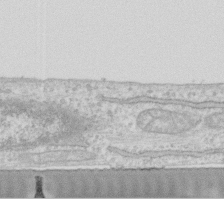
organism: Human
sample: Fibroblast cells